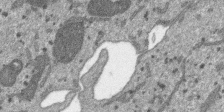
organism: Human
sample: Lung epithelial cells infected with SARS-CoV-2